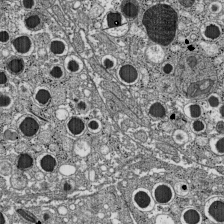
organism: C57BL Mouse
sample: Pancreatic islet